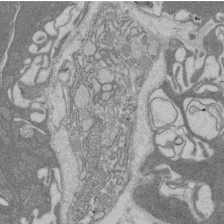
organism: Rat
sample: Salivary granule